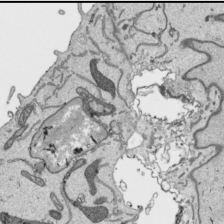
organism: Human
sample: Mitochondria in HCT116 cells